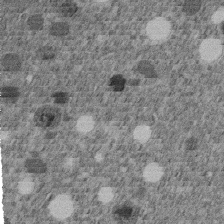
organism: C. elegans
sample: C. elegans embryo early stage